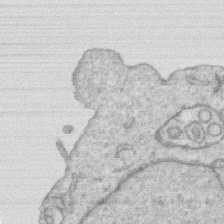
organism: Human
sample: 1205lu cells